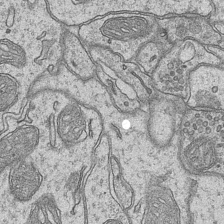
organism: Mouse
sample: CA1 Hippocampus